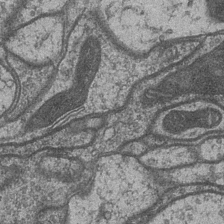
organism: Drosophila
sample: Optic medulla